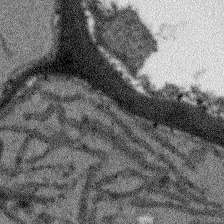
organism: Arabidopsis thaliana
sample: Root tip